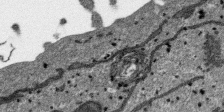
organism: Human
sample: Lung epithelial cells, uninfected (mock) control